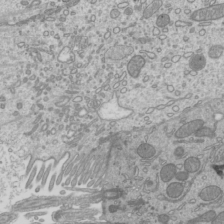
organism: Mouse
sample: Cilia; mouse epididymis